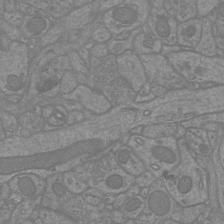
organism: Mouse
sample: Cortical neurons